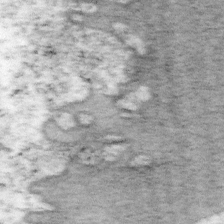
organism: Mouse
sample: OT-I killer T cells with ID8 ovarian cancer cells